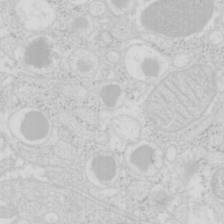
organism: Mouse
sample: Pancreas